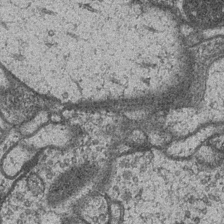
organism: Drosophila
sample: Optic medulla